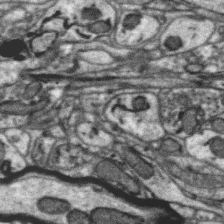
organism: Zebra finch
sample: Brain